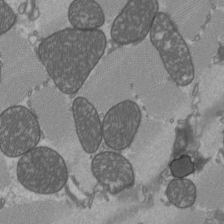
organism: C57BL Mouse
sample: Heart